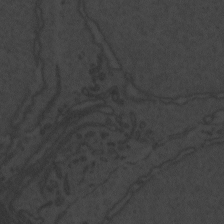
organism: Zebrafish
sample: Macrophage infected with Toxoplasma gondii